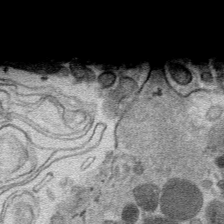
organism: Mouse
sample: Mouse hepatocytes